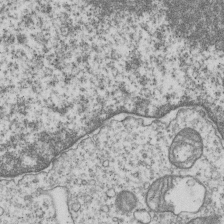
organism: Human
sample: MDA-MB-231 cells